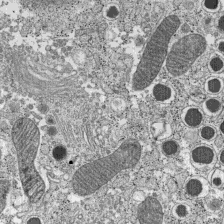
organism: C57BL Mouse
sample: Pancreatic islet